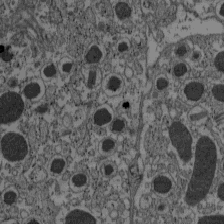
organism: C57BL Mouse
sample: Pancreatic islet